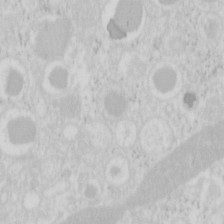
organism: Mouse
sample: Pancreas